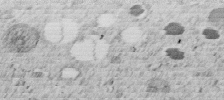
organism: C. elegans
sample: C. elegans embryo early stage